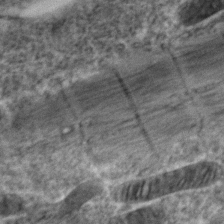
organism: Zebrafish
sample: Zebrafish embryo